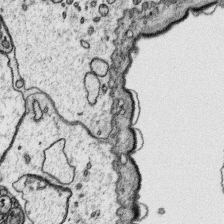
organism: Platynereis dumerilii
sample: Parapodia